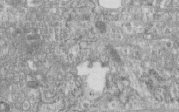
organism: Human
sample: Centriole in fibroblast cells